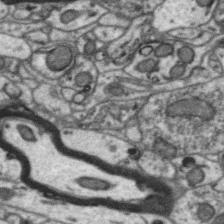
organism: Zebra finch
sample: Brain